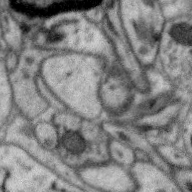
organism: Zebra finch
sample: Brain